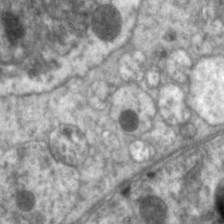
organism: C. elegans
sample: Pharynx